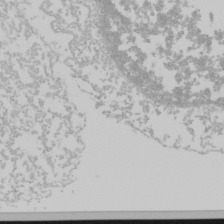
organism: Mouse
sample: Cancer cell death in ED-1 cells